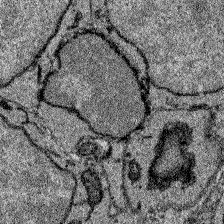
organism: Zebrafish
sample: Larval olfactory bulb